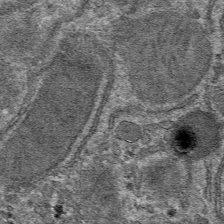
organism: Mouse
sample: Mouse hepatocytes